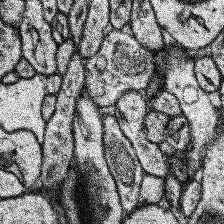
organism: Human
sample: Temporal Lobe